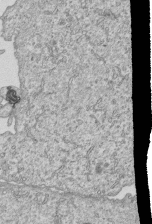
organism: Human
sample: MDA-MB-231 cells